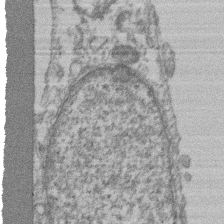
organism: Mouse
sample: T cell stromal cell synapse